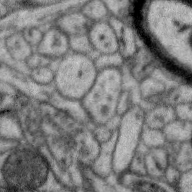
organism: Zebra finch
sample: Brain